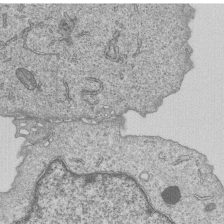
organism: Human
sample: MDA-MB-231 cells